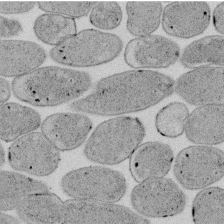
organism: E. coli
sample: Bacterial nucleoid